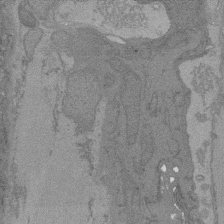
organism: C. elegans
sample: AFD neurons C. elegans